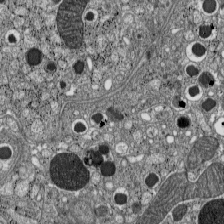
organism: C57BL Mouse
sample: Pancreatic islet